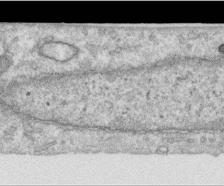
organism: Human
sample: Centriole in RPE cells